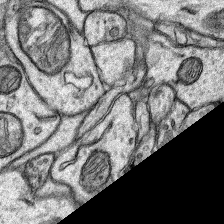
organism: Rat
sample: Hippocampus